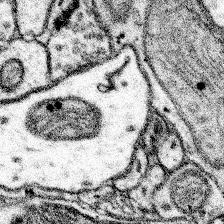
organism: Mouse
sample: Somatosensory cortex neuropil